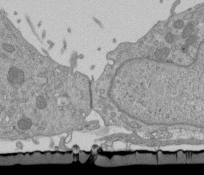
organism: Mouse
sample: ED-1 cell nuclei; centrioles